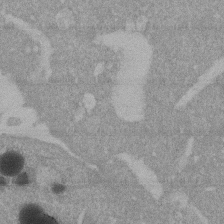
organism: Mouse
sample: ED-1 cell nuclei; centrioles